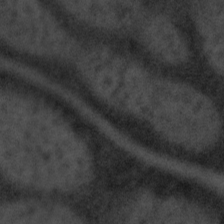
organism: Tuwongella immobilis